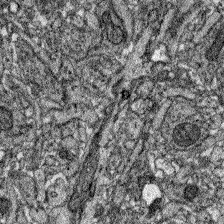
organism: Zebrafish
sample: Larval olfactory bulb